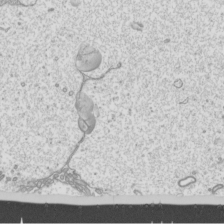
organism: Mouse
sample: Cilia; mouse epididymis